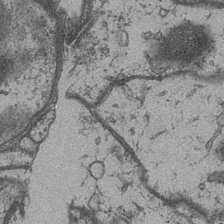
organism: Drosophila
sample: Optic medulla